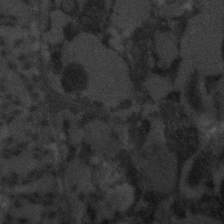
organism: C. elegans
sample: C. elegans embryo